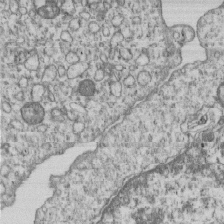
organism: Human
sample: MDA-MB-231 cells